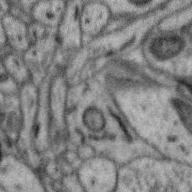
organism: Zebra finch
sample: Brain